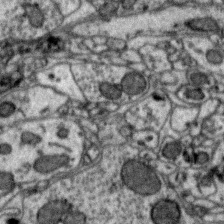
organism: Zebra finch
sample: Brain